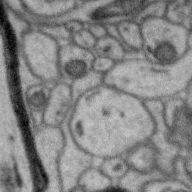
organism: Zebra finch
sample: Brain